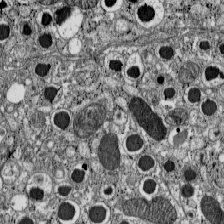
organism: C57BL Mouse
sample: Pancreatic islet